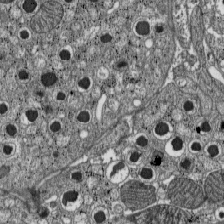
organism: C57BL Mouse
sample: Pancreatic islet